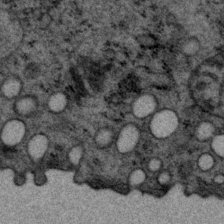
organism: P. pacificus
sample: Pharynx